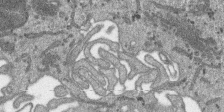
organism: Human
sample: Lung epithelial cells infected with SARS-CoV-2